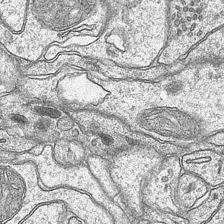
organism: Mouse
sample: CA1 Hippocampus